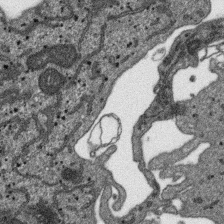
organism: Human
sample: Lung epithelial cells infected with SARS-CoV-2